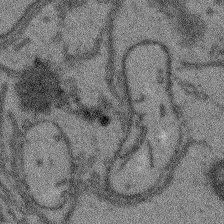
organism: Arabidopsis thaliana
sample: Root tip